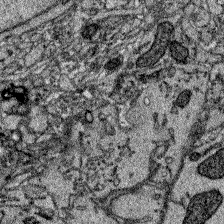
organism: Zebrafish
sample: Larval olfactory bulb